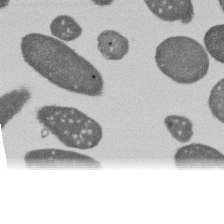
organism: E. coli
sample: Bacterial nucleoid